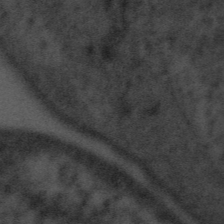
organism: Tuwongella immobilis